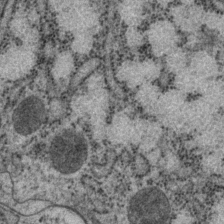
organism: P. pacificus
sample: Pharynx